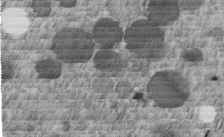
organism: C. elegans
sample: C. elegans embryo early stage